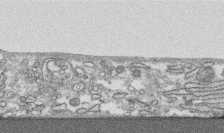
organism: Human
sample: CRL-1474